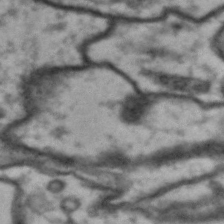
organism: Drosophila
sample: Brain